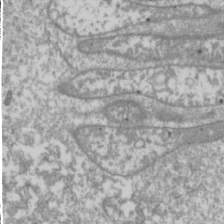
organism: Drosophila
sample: Cell division; meiosis; drosophila spermatocytes